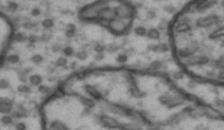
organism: Drosophila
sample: Brain